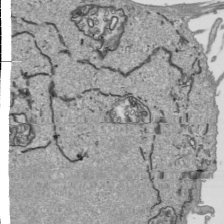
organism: Human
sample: Mitochondria in HCT116 cells